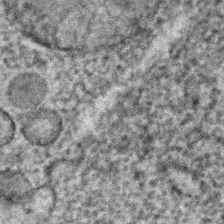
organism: C. elegans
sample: C. elegans embryo